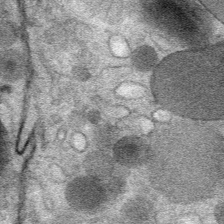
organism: Mouse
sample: Mouse Salivary gland